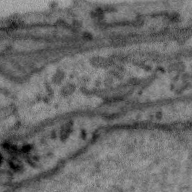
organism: Zebra finch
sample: Brain